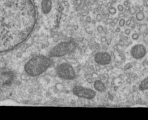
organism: Human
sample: Centriole in RPE cells